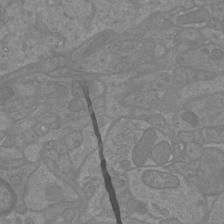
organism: Mouse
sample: Cortical neurons